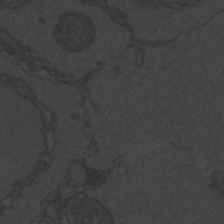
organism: Zebrafish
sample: Macrophage infected with Toxoplasma gondii